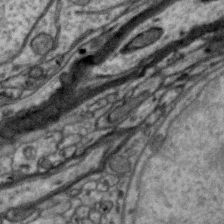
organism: Zebra finch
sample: Brain